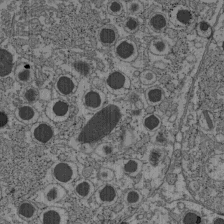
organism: C57BL Mouse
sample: Pancreatic islet